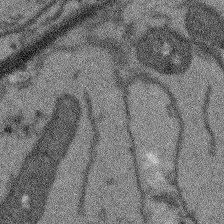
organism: Arabidopsis thaliana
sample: Root tip